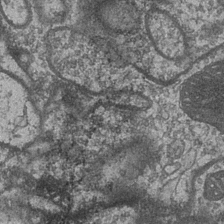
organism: Drosophila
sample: Optic medulla